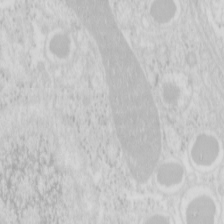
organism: Mouse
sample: Pancreas